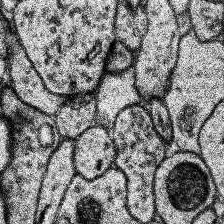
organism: Human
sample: Temporal Lobe